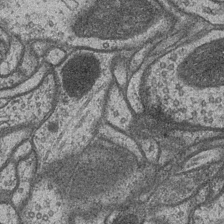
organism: Drosophila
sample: Optic medulla